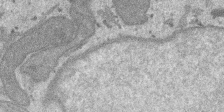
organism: Human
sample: Lung epithelial cells infected with SARS-CoV-2